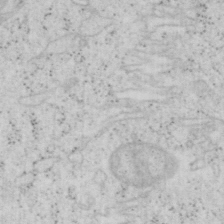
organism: Human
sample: HeLa cells